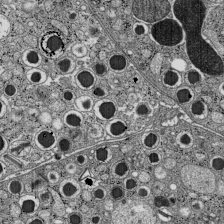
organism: C57BL Mouse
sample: Pancreatic islet